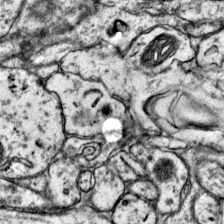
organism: Mouse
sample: Primary visual cortex